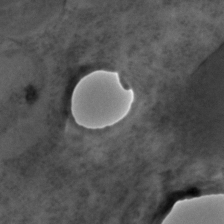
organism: C. elegans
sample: C. elegans embryo